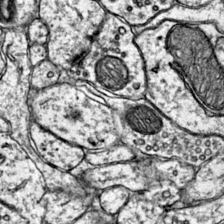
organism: Mouse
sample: Primary visual cortex